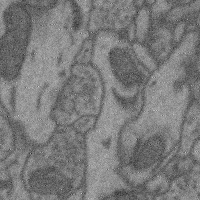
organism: Mouse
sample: Cerebral cortex